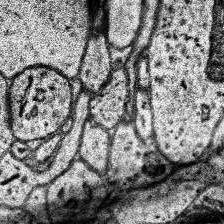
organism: Human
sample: Temporal Lobe